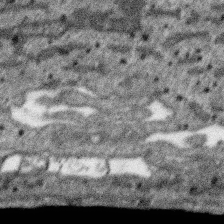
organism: Human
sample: Lung epithelial cells infected with SARS-CoV-2